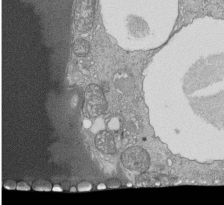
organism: Tetrahymena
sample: Cilia in tetrahymena